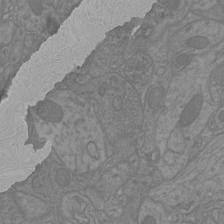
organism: Mouse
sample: Cortical neurons